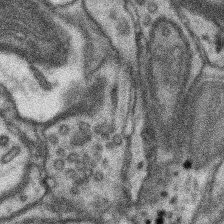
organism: Mouse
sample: Somatosensory cortex neuropil